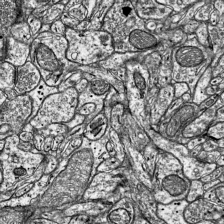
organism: Mouse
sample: Visual Cortex